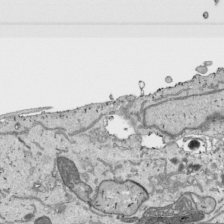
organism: Human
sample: Mitochondria in HCT116 cells